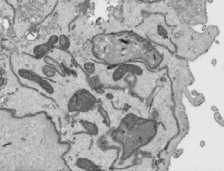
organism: Human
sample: Mitochondria in HCT116 cells